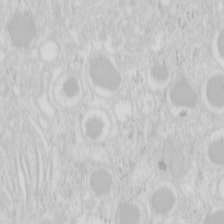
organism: Mouse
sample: Pancreas